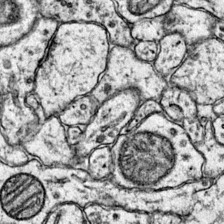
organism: Mouse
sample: Primary visual cortex